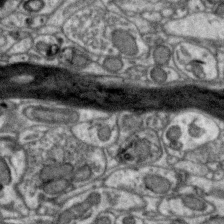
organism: Zebra finch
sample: Brain